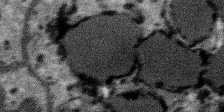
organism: Human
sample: Lung epithelial cells infected with SARS-CoV-2